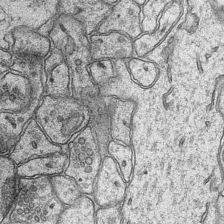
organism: Mouse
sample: CA1 Hippocampus